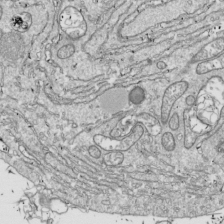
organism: Drosophila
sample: Cell division; meiosis; drosophila spermatocytes